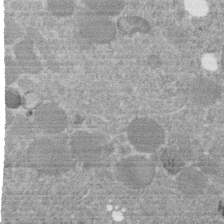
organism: C. elegans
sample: C. elegans embryo early stage